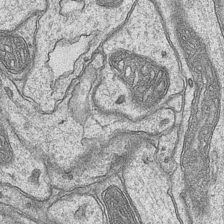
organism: Mouse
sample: CA1 Hippocampus